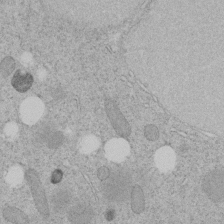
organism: C. elegans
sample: C. elegans embryo early stage